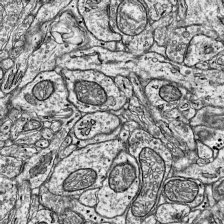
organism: Mouse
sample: Visual Cortex